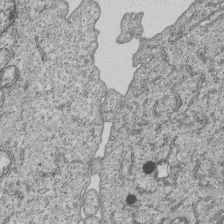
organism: Human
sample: MDA-MB-231 cells